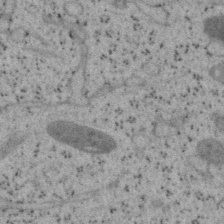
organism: Human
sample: HeLa cells